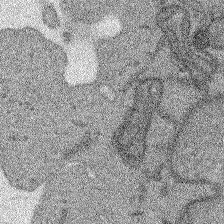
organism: Human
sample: HeLa cells